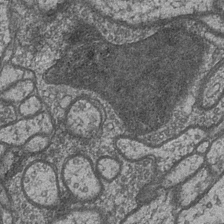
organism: Drosophila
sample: Optic medulla